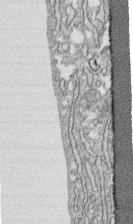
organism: Human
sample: CRL-1474